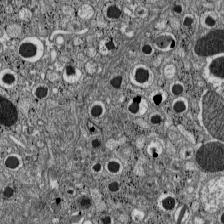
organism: C57BL Mouse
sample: Pancreatic islet